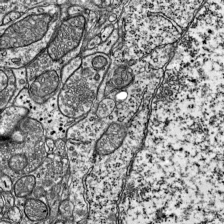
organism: Mouse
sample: Visual Cortex